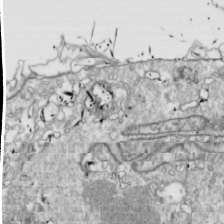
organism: Drosophila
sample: Cell division; meiosis; drosophila spermatocytes